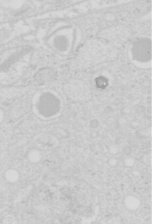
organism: Mouse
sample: Pancreas